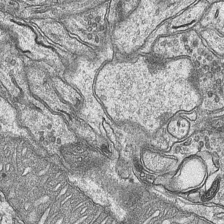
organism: Mouse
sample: CA1 Hippocampus